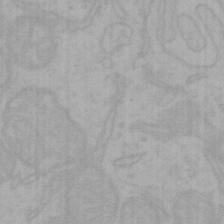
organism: Mouse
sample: Choroid plexus